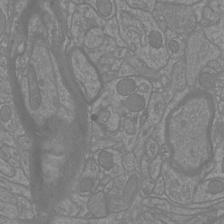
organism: Mouse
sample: Cortical neurons